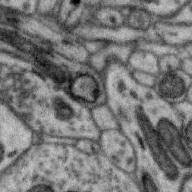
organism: Zebra finch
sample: Brain